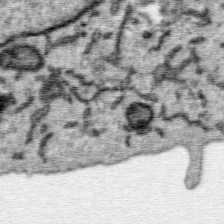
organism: Human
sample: HeLa cells